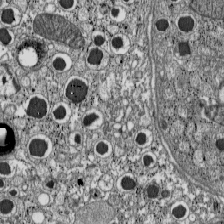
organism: C57BL Mouse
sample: Pancreatic islet